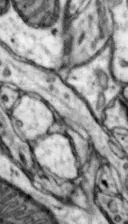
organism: Mouse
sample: Nucleus accumbens